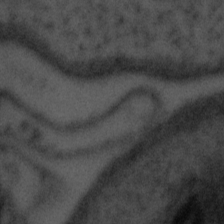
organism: Tuwongella immobilis